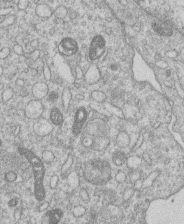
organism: Human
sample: Macrophage cells